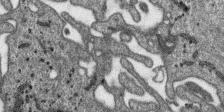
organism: Human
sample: Lung epithelial cells infected with SARS-CoV-2